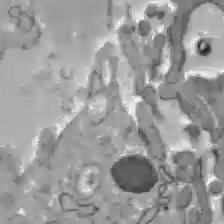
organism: C57BL Mouse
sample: Liver